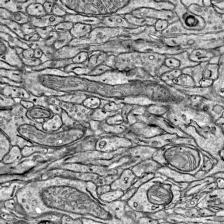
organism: Mouse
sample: Visual Cortex